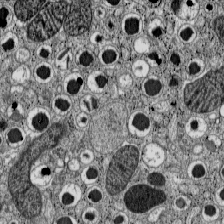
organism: C57BL Mouse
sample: Pancreatic islet